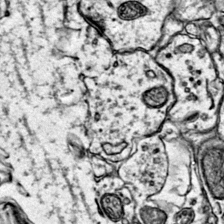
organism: Mouse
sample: Primary visual cortex